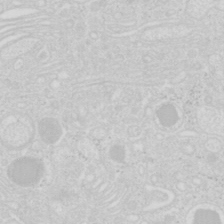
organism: Mouse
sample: Pancreas